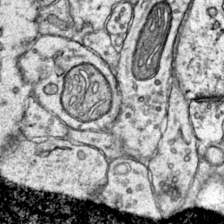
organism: Mouse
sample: Primary visual cortex